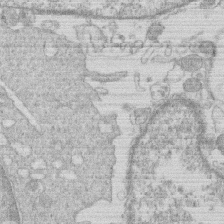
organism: Human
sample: Macrophage cells